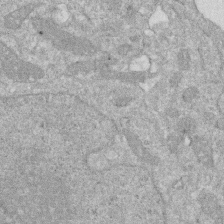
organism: Human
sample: HIV infected U937 cells